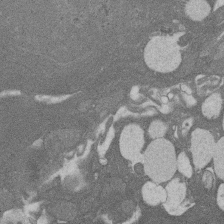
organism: Rat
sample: Salivary granule